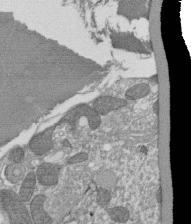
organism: Tetrahymena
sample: Cilia in tetrahymena